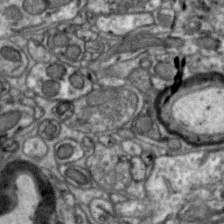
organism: Zebra finch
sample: Brain